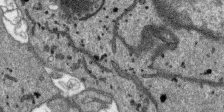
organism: Human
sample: Lung epithelial cells, uninfected (mock) control